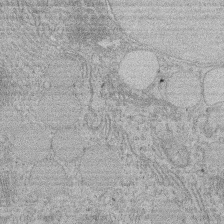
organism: Rat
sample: Salivary granule